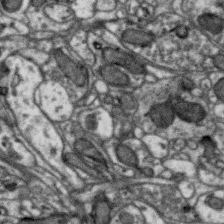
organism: Zebra finch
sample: Brain